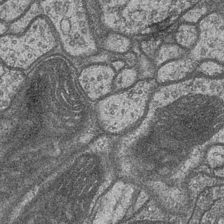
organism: Drosophila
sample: Optic medulla